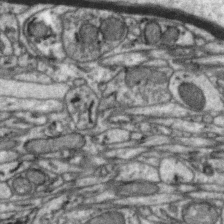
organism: Zebra finch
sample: Brain